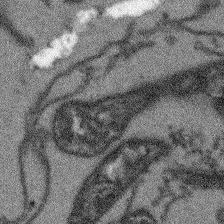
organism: Arabidopsis thaliana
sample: Root tip